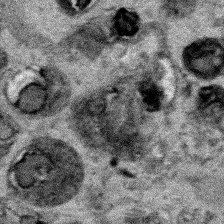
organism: Human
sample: Mitochondria in HCT116 cells